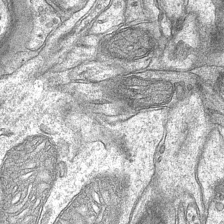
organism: Mouse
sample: CA1 Hippocampus